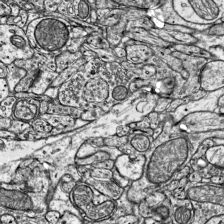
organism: Mouse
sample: Visual Cortex